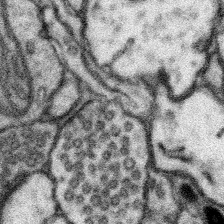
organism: Mouse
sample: Somatosensory cortex neuropil